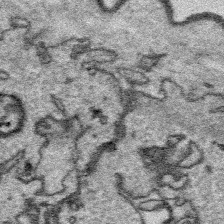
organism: Platynereis dumerilii